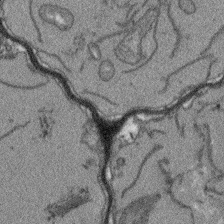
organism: Arabidopsis thaliana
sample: Root tip